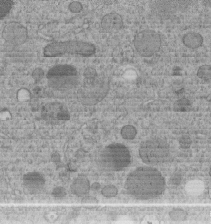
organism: C. elegans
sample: C. elegans embryo early stage